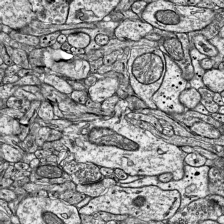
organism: Mouse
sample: Visual Cortex